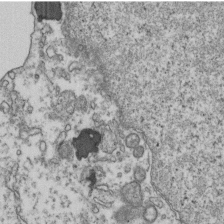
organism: Human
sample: Activated Jurkat CD4+ T cells